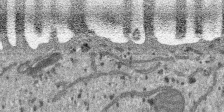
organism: Human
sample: Lung epithelial cells infected with SARS-CoV-2